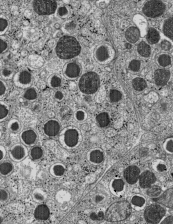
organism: C57BL Mouse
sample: Pancreatic islet